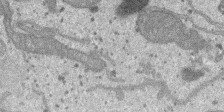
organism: Human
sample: Lung epithelial cells infected with SARS-CoV-2